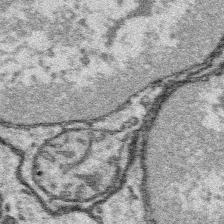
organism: Platynereis dumerilii